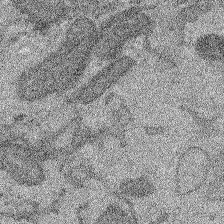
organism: Human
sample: HeLa cells